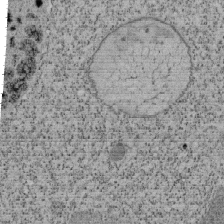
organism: Tetrahymena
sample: Cilia in tetrahymena